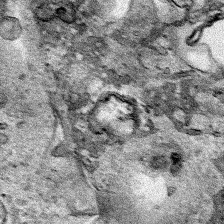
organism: Human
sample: Mitochondria in HCT116 cells